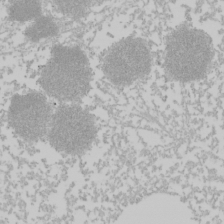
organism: Mouse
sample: Cancer cell death in ED-1 cells